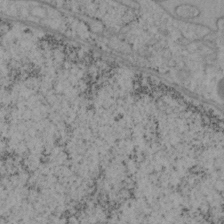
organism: Human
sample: HeLa cells